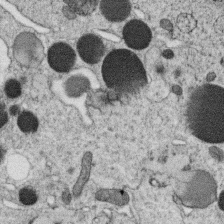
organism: C. elegans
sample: C. elegans oocyte; sperm cells